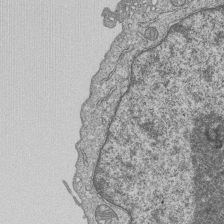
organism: Human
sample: MDA-MB-231 cells